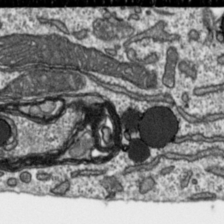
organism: Toxoplasma gondii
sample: Parasites in a vacuole inside a host cell